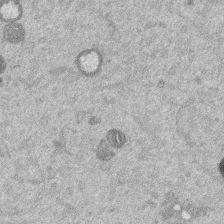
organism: Mouse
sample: Dividing mouse embryo 1 cell stage